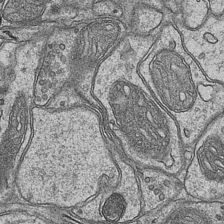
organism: Mouse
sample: CA1 Hippocampus